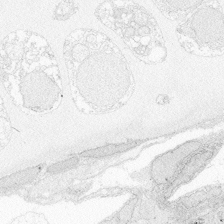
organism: Zebrafish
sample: Whole-Brain